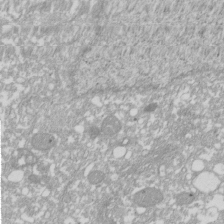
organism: Xenopus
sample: Cilia; centrioles in frog embryo cells